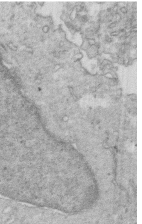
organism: Mouse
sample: Multiciliated cells